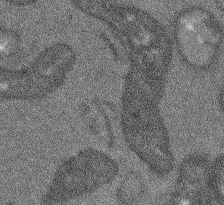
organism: Arabidopsis thaliana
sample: Root tip